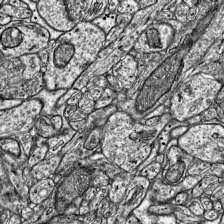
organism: Mouse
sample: Visual Cortex